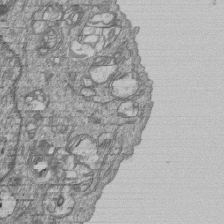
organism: Human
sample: MDA-MB-231 cells